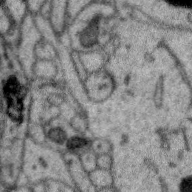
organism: Zebra finch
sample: Brain